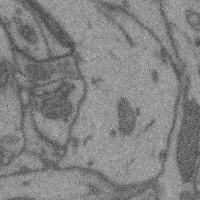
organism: Mouse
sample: Cerebral cortex